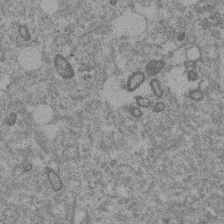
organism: Mouse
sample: Dividing mouse embryo 1 cell stage